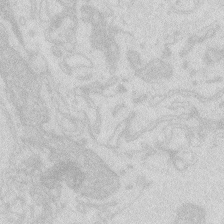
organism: Zebrafish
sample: Macrophage